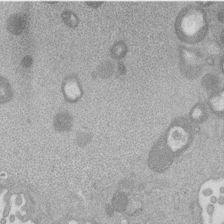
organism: Mouse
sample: Dividing mouse embryo 1 cell stage